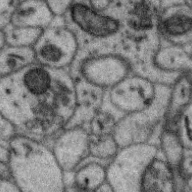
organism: Zebra finch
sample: Brain